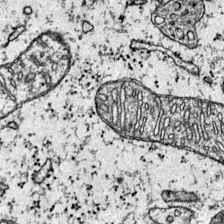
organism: Mouse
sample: Primary visual cortex